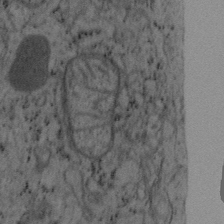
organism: Human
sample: HeLa cells